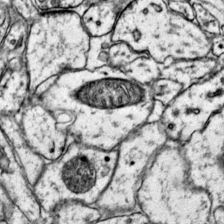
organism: Mouse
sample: Primary visual cortex